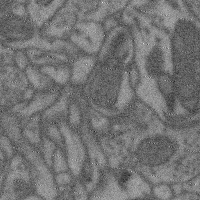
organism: Mouse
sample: Cerebral cortex